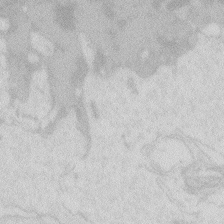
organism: Zebrafish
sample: Macrophage